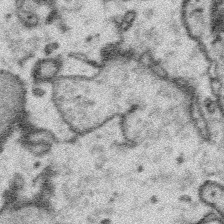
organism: Platynereis dumerilii